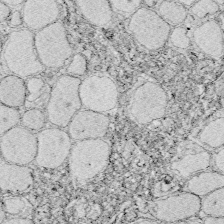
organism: Zebrafish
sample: Whole-Brain